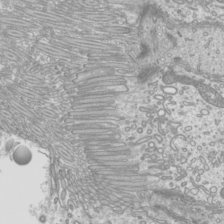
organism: Mouse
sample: Cilia; mouse epididymis